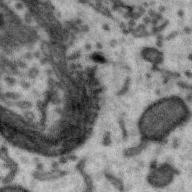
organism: Zebra finch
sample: Brain